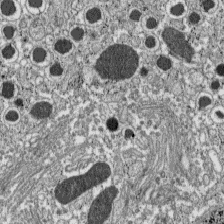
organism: C57BL Mouse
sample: Pancreatic islet